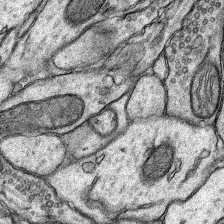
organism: Rat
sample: Hippocampus